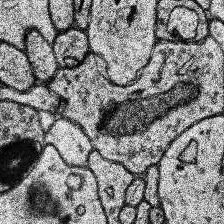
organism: Human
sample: Temporal Lobe